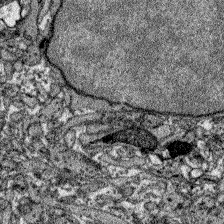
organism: Zebrafish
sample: Larval olfactory bulb